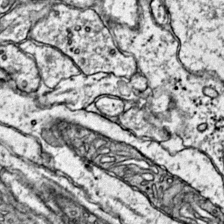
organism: Mouse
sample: Primary visual cortex